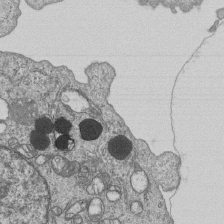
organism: Human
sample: MDA-MB-231 cells